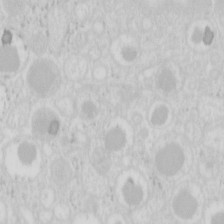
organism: Mouse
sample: Pancreas